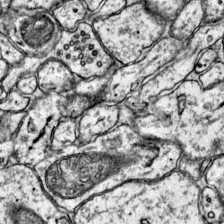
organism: Mouse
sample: Primary visual cortex